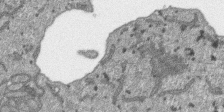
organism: Human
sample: Lung epithelial cells infected with SARS-CoV-2